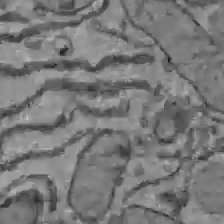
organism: C57BL Mouse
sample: Liver